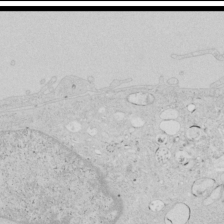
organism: Human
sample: Mitochondria in HCT116 cells